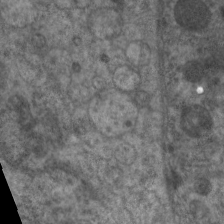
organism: C. elegans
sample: Pharynx